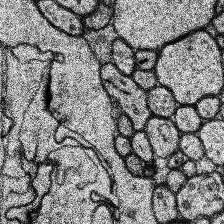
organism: Human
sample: Temporal Lobe